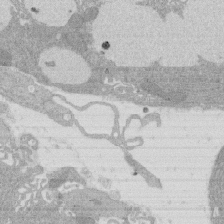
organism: Rat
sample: Salivary granule